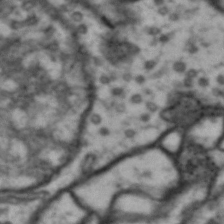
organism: Drosophila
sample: Brain